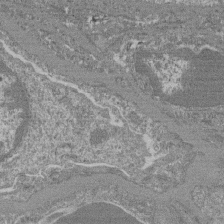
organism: Mouse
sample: Glomerulus